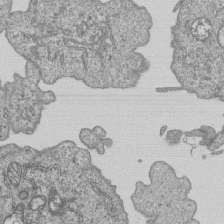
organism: Human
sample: MDA-MB-231 cells